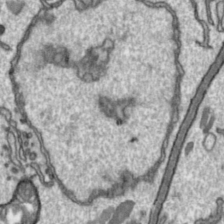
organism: Toxoplasma gondii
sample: Parasites in a vacuole inside a host cell